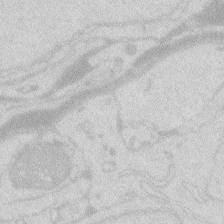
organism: Zebrafish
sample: Macrophage